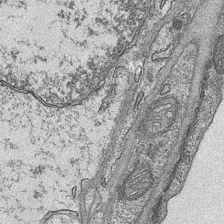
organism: Mouse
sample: CA1 Hippocampus